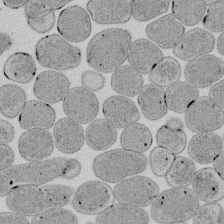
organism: E. coli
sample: Bacterial nucleoid